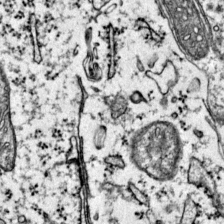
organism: Mouse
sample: Primary visual cortex